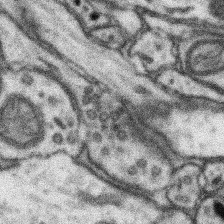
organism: Mouse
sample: Somatosensory cortex neuropil